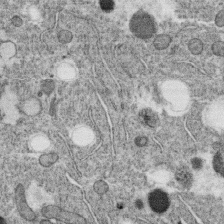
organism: C. elegans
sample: C. elegans oocyte; sperm cells